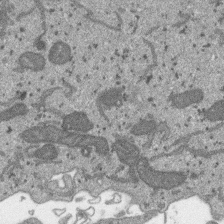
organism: Human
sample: Lung epithelial cells infected with SARS-CoV-2